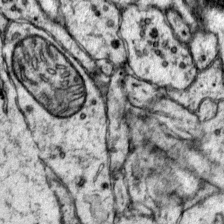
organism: Mouse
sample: Primary visual cortex